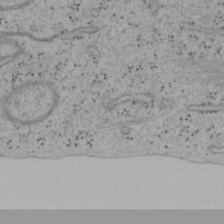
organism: Human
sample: HeLa cells